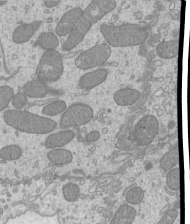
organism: Mouse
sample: Cilia; mouse epididymis